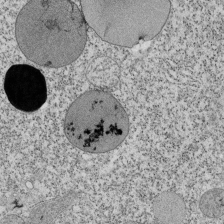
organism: Tetrahymena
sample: Cilia in tetrahymena